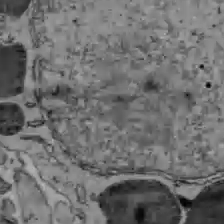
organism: C57BL Mouse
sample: Liver